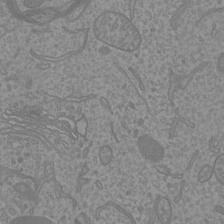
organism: Mouse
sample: Cortical neurons